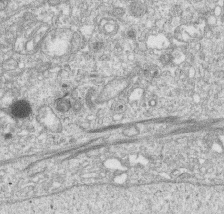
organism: Human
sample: HeLa cell HIV synapse